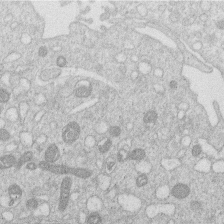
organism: Human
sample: Macrophage cells